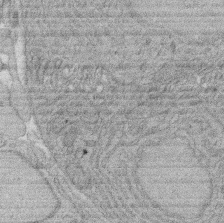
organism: Rat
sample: Salivary granule